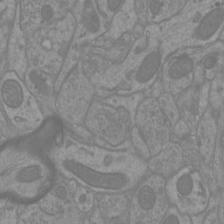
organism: Mouse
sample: Cortical neurons